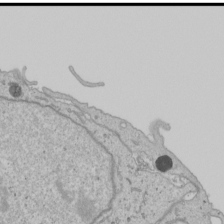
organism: Human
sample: Mitochondria in U2OS cells